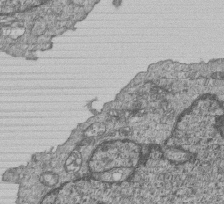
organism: Human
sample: MDA-MB-231 cells